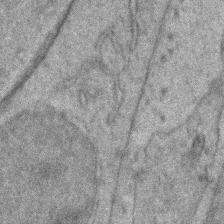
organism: Zebrafish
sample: Zebrafish embryo